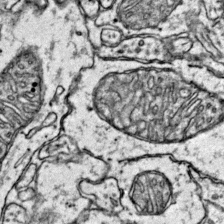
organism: Mouse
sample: Primary visual cortex